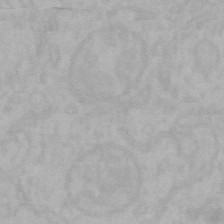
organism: Mouse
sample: Choroid plexus